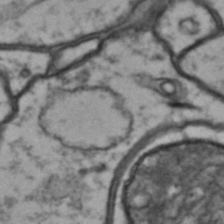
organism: Drosophila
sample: Brain